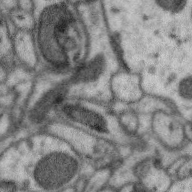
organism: Zebra finch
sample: Brain